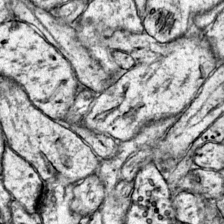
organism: Mouse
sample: Primary visual cortex